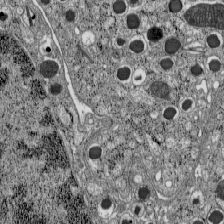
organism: C57BL Mouse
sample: Pancreatic islet